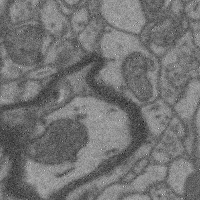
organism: Mouse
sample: Cerebral cortex